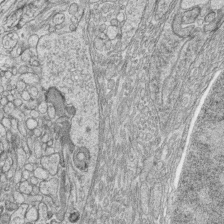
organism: Zebrafish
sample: synaptic ribbons in rod cells and cone cells